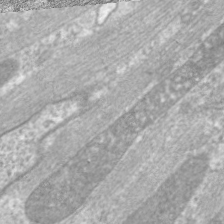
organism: C. elegans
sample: Pharynx